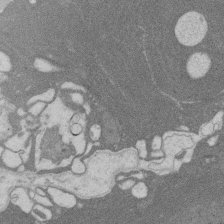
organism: Rat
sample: Salivary granule